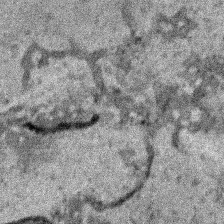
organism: Human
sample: Mitochondria in HCT116 cells